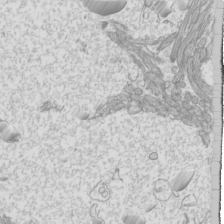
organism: Mouse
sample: Cilia; mouse epididymis